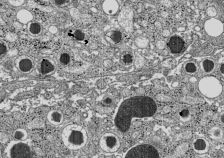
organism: C57BL Mouse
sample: Pancreatic islet